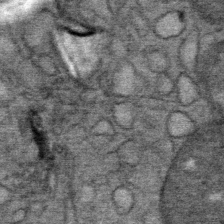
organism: Mouse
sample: Mouse Salivary gland